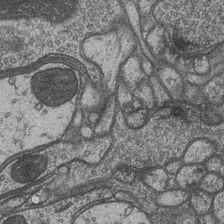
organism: Drosophila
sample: Optic medulla